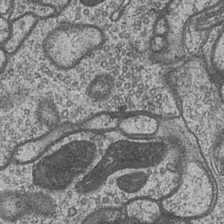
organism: Drosophila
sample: Optic medulla